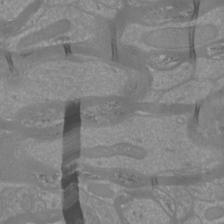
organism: Mouse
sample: Cortical neurons